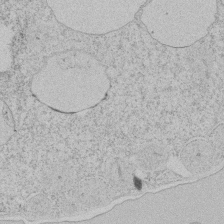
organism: Tetrahymena